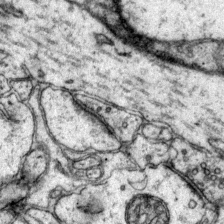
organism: Mouse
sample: Primary visual cortex